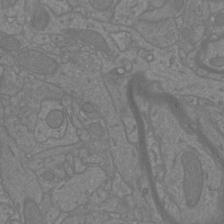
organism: Mouse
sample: Cortical neurons